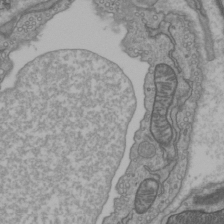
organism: C57BL Mouse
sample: Heart